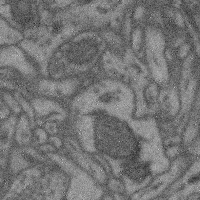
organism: Mouse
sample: Cerebral cortex